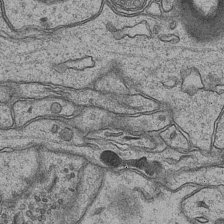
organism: Mouse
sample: CA1 Hippocampus